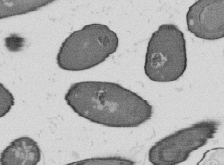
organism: B. subtilis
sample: Bacterial spore